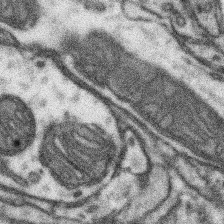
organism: Mouse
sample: Somatosensory cortex neuropil